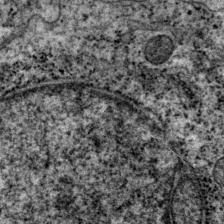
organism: P. pacificus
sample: Pharynx